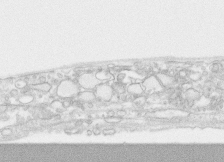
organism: Human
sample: CRL-1474